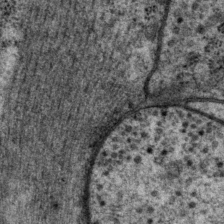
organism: P. pacificus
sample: Pharynx